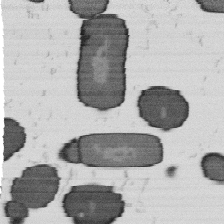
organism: B. subtilis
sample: Bacterial spore